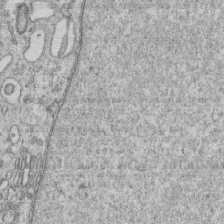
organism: Human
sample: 1205lu cells